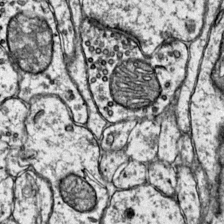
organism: Mouse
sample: Primary visual cortex